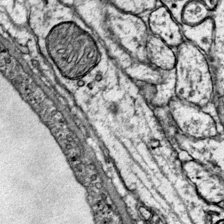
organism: Mouse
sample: Primary visual cortex